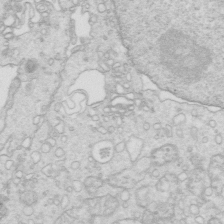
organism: Mouse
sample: Multiciliated cells